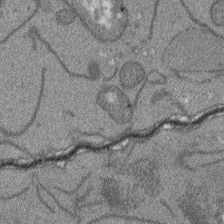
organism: Arabidopsis thaliana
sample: Root tip